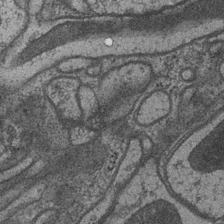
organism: Drosophila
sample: Optic medulla